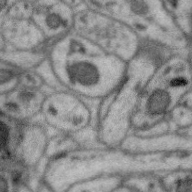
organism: Zebra finch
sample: Brain